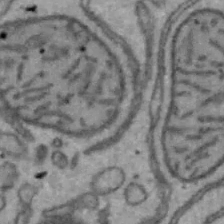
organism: Mouse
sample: Liver